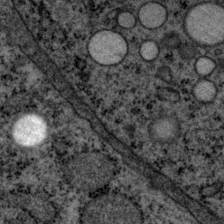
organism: P. pacificus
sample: Pharynx